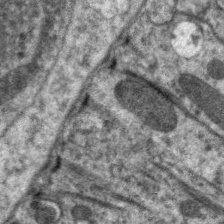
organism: C. elegans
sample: Pharynx